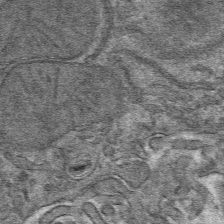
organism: Mouse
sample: Mouse hepatocytes